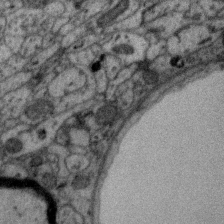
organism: Zebra finch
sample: Brain